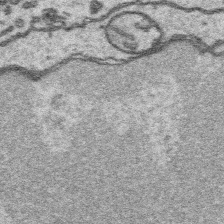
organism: Platynereis dumerilii